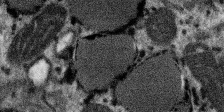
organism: Human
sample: Lung epithelial cells infected with SARS-CoV-2